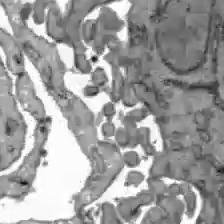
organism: C57BL Mouse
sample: Liver